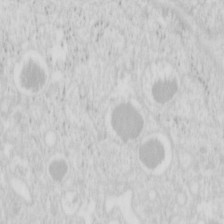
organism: Mouse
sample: Pancreas